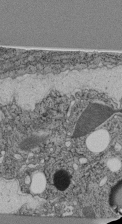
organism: C. elegans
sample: C. elegans pharynx